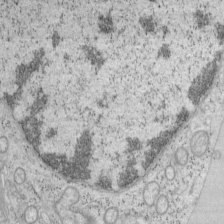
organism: Mouse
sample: OT-I killer T cells with ID8 ovarian cancer cells